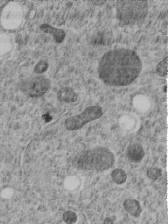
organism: C. elegans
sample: C. elegans embryo early stage